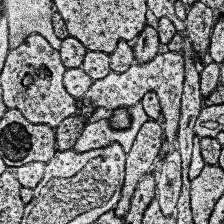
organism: Human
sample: Temporal Lobe